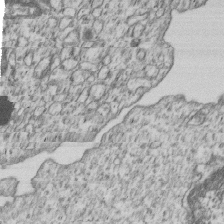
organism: Human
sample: MDA-MB-231 cells